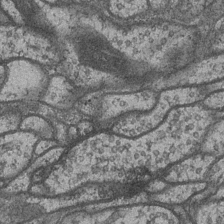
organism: Drosophila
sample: Optic medulla